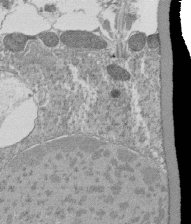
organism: Tetrahymena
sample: Cilia in tetrahymena